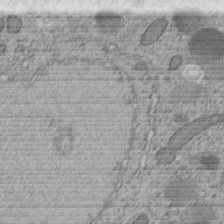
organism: C. elegans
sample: C. elegans embryo early stage